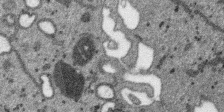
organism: Human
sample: Lung epithelial cells infected with SARS-CoV-2